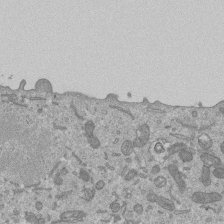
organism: Mouse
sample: ED-1 cell nuclei; centrioles